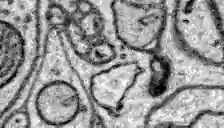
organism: Zebrafish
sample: Brain